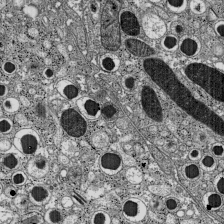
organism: C57BL Mouse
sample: Pancreatic islet